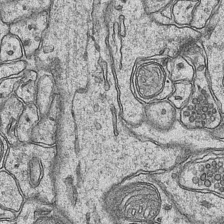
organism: Mouse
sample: CA1 Hippocampus